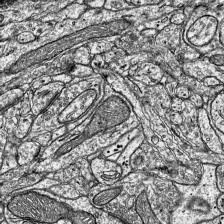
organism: Mouse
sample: Visual Cortex